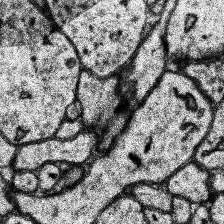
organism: Human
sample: Temporal Lobe